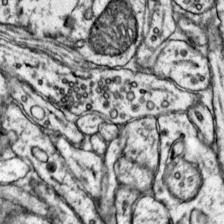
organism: Mouse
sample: Primary visual cortex